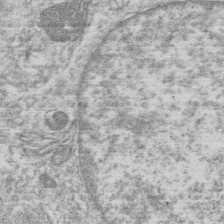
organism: Human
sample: Macrophage cells